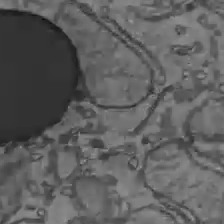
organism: C57BL Mouse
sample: Liver